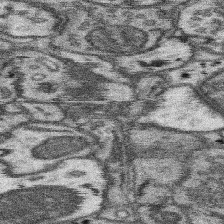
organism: Mouse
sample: Somatosensory cortex neuropil